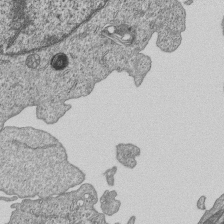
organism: Human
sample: MDA-MB-231 cells